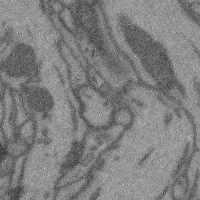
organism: Mouse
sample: Cerebral cortex